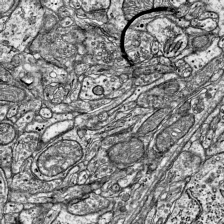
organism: Mouse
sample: Visual Cortex